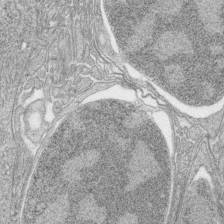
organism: Zebrafish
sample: synaptic ribbons in rod cells and cone cells